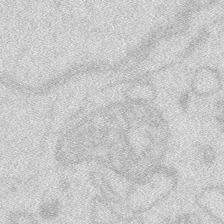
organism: Zebrafish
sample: Macrophage